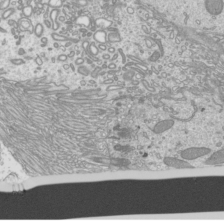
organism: Mouse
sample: Cilia; mouse epididymis